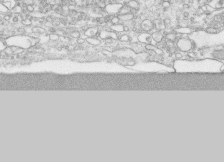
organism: Human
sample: CRL-1474